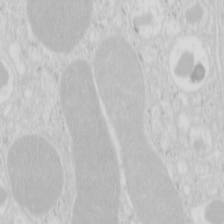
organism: Mouse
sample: Pancreas